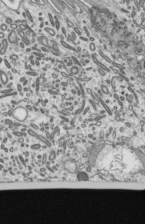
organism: Mouse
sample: Mouse epididymis efferent ductule cilia